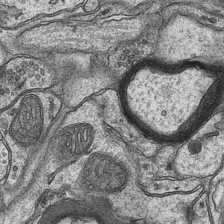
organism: Mouse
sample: CA1 Hippocampus